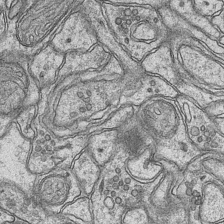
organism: Mouse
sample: CA1 Hippocampus